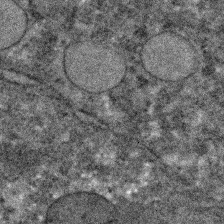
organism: C. elegans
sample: C. elegans embryo